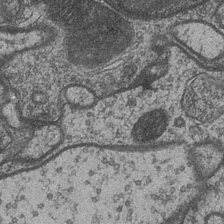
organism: Drosophila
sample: Optic medulla